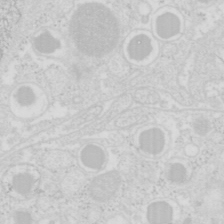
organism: Mouse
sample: Pancreas